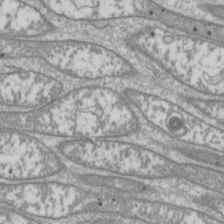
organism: Drosophila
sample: Cell division; meiosis; drosophila spermatocytes